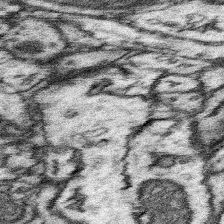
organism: Mouse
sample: Somatosensory cortex neuropil